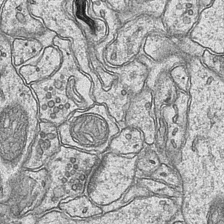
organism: Mouse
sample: CA1 Hippocampus